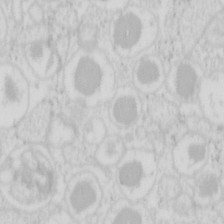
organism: Mouse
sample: Pancreas